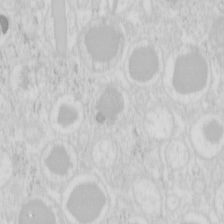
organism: Mouse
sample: Pancreas